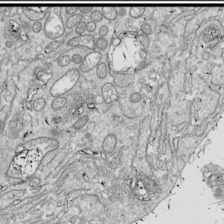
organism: Drosophila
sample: Cell division; meiosis; drosophila spermatocytes